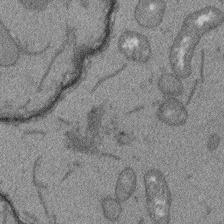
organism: Arabidopsis thaliana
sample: Root tip